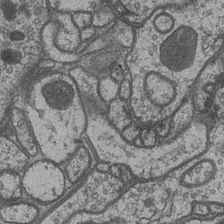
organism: Drosophila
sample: Optic medulla